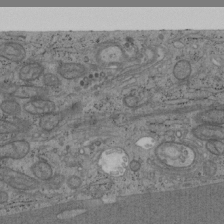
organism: Human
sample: HeLa cells